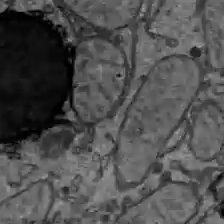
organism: C57BL Mouse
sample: Liver